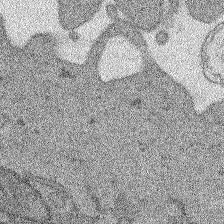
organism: Human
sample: HeLa cells